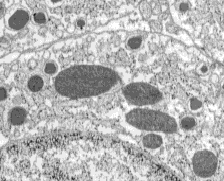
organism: C57BL Mouse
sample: Pancreatic islet